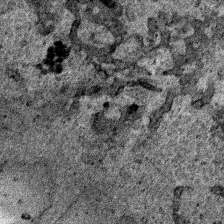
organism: Human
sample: Mitochondria in HCT116 cells